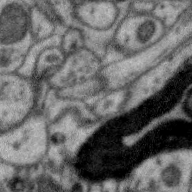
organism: Zebra finch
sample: Brain